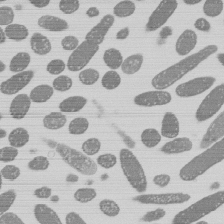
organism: E. coli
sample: Bacterial nucleoid